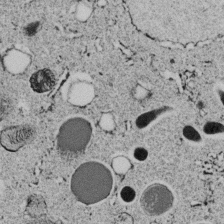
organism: C. elegans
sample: C. elegans embryo early stage